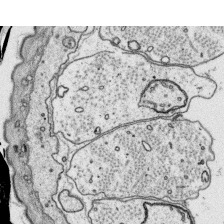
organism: Platynereis dumerilii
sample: Parapodia